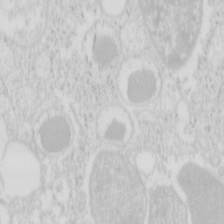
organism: Mouse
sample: Pancreas